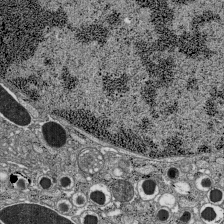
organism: C57BL Mouse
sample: Pancreatic islet